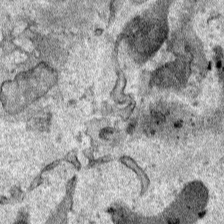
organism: Human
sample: Mitochondria in HCT116 cells